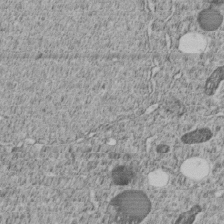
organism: C. elegans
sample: C. elegans embryo early stage